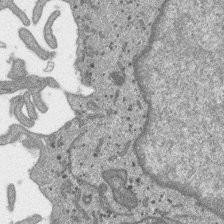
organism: Human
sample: Lung epithelial cells infected with SARS-CoV-2